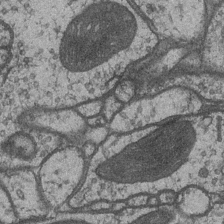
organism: Drosophila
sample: Optic medulla